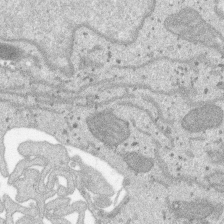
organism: Human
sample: Lung epithelial cells infected with SARS-CoV-2